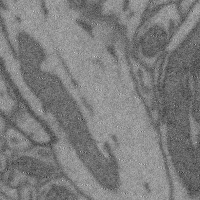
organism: Mouse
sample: Cerebral cortex